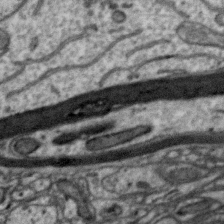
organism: Zebra finch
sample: Brain